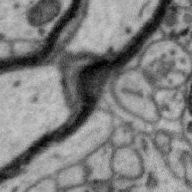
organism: Zebra finch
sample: Brain